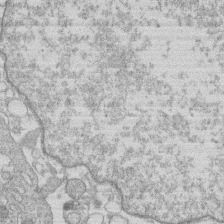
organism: Human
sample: Macrophage cells